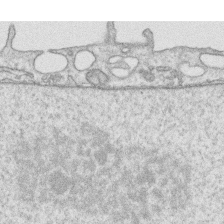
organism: Human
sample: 1205lu cells